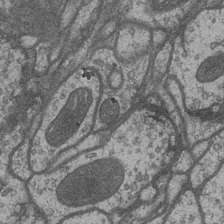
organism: Drosophila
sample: Optic medulla